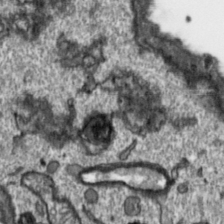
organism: Toxoplasma gondii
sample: Parasites in a vacuole inside a host cell